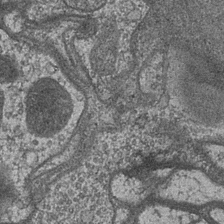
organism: Drosophila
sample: Optic medulla